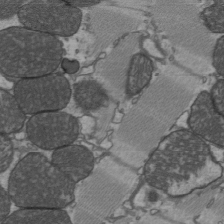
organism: C57BL Mouse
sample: Heart